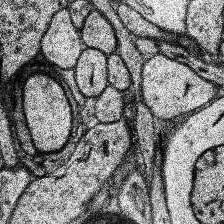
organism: Human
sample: Temporal Lobe